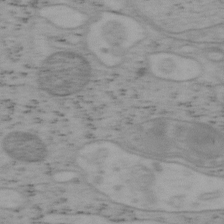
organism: Mouse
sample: OT-I killer T cells with ID8 ovarian cancer cells